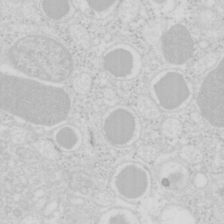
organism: Mouse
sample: Pancreas